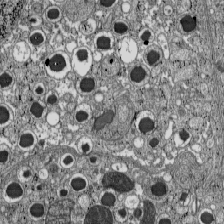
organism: C57BL Mouse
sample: Pancreatic islet